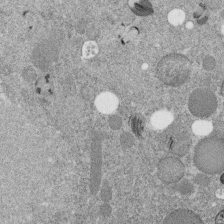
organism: C. elegans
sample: C. elegans embryo early stage